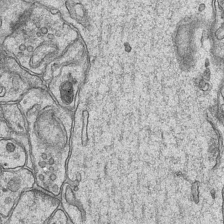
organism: Mouse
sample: CA1 Hippocampus